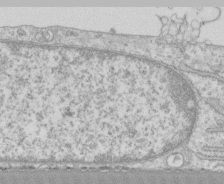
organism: Human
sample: CRL-1474